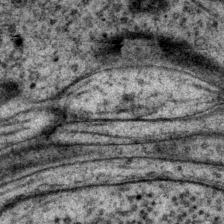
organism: P. pacificus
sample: Pharynx